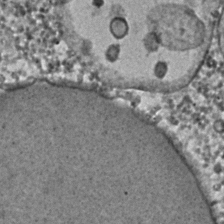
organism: C. elegans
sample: C. elegans embryo